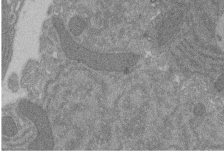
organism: Rat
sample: Salivary granule